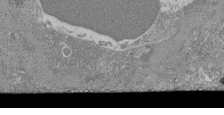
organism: Mouse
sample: Glomerulus